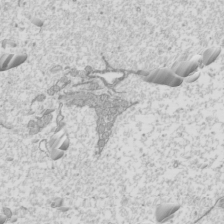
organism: Mouse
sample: Cilia; mouse epididymis